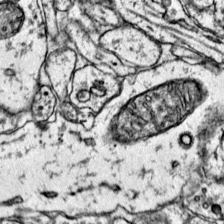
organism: Mouse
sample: Primary visual cortex